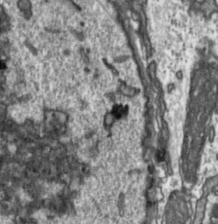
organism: Toxoplasma gondii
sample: Parasites in a vacuole inside a host cell